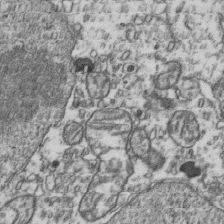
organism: Human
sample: Activated Jurkat CD4+ T cells